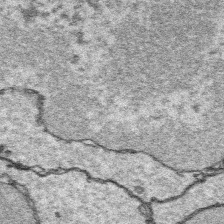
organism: Platynereis dumerilii